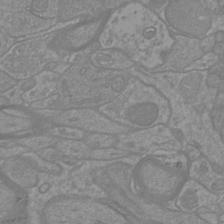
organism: Mouse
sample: Cortical neurons